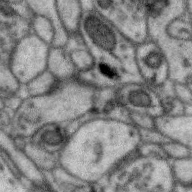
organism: Zebra finch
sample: Brain